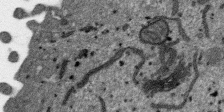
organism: Human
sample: Lung epithelial cells, uninfected (mock) control